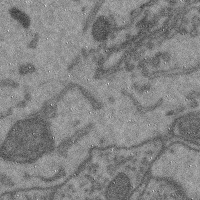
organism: Mouse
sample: Cerebral cortex